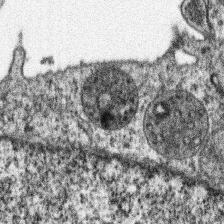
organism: Human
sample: HeLa cells